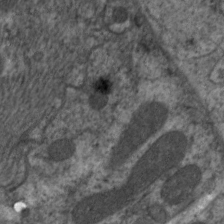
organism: C. elegans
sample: Pharynx